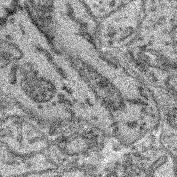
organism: Mouse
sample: Retina